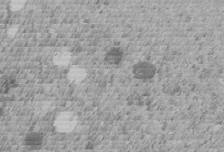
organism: C. elegans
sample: C. elegans embryo early stage